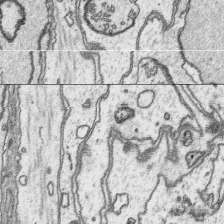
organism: Platynereis dumerilii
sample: Parapodia